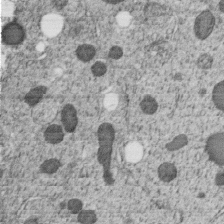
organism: C. elegans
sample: C. elegans embryo early stage